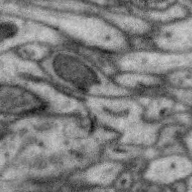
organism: Zebra finch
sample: Brain